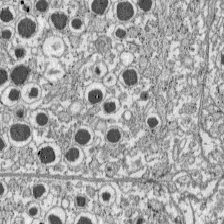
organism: C57BL Mouse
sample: Pancreatic islet